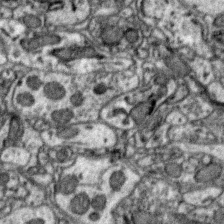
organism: Zebra finch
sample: Brain